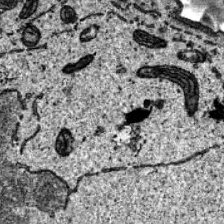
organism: Human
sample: HeLa cells